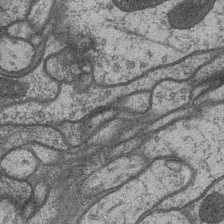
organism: Drosophila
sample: Optic medulla